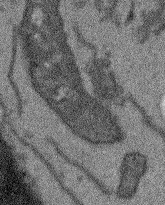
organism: Arabidopsis thaliana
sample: Root tip